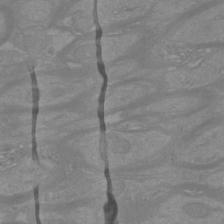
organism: Mouse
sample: Cortical neurons